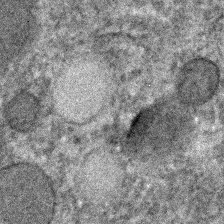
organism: C. elegans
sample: C. elegans embryo